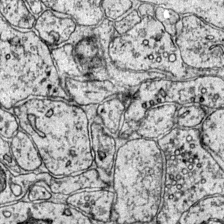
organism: Mouse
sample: Primary visual cortex